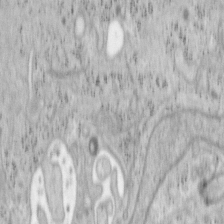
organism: Human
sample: HeLa cells